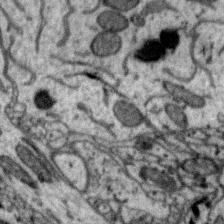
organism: Zebra finch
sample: Brain